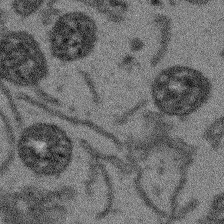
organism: Arabidopsis thaliana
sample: Root tip